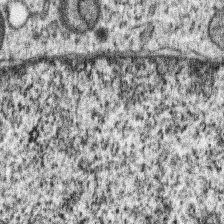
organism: Human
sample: HeLa cells